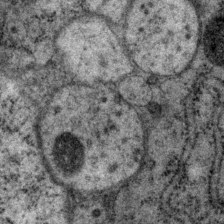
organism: P. pacificus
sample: Pharynx